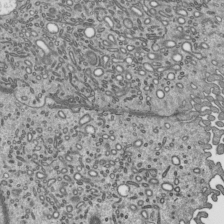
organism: Mouse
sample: Mouse epididymis efferent ductule cilia